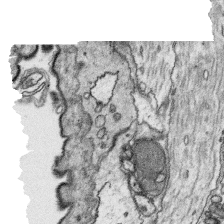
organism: Platynereis dumerilii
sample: Parapodia